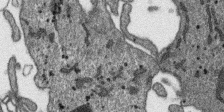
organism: Human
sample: Lung epithelial cells infected with SARS-CoV-2